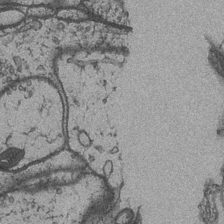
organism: Drosophila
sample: Optic medulla